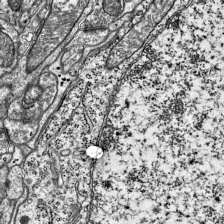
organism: Mouse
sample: Visual Cortex